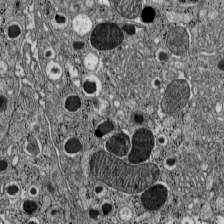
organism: C57BL Mouse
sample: Pancreatic islet